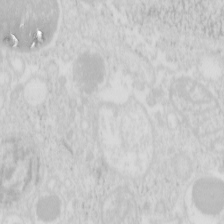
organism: Mouse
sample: Pancreas